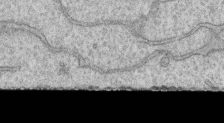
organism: Human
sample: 1205lu cells